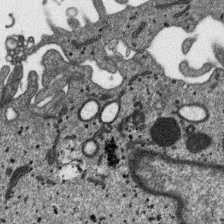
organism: Human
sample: Lung epithelial cells infected with SARS-CoV-2